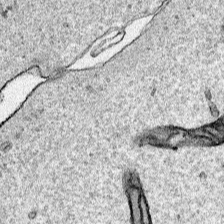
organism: Human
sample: Mitochondria in HCT116 cells